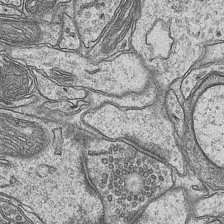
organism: Mouse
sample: CA1 Hippocampus